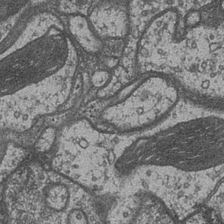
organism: Drosophila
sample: Optic medulla